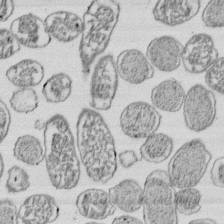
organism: E. coli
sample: Bacterial nucleoid